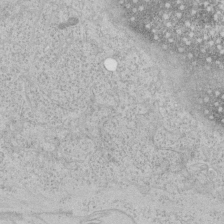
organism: Human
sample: Mitochondria in HCT116 cells